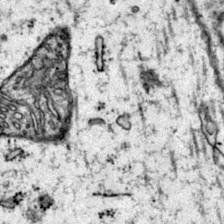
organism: Mouse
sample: Primary visual cortex